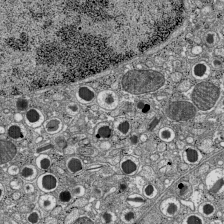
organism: C57BL Mouse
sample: Pancreatic islet